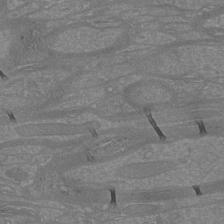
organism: Mouse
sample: Cortical neurons